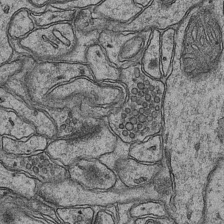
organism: Mouse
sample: CA1 Hippocampus